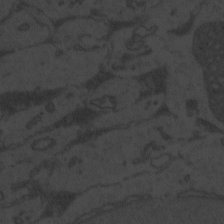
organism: Zebrafish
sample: Macrophage infected with Toxoplasma gondii